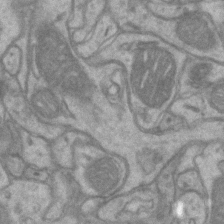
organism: Mouse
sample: CA1 Hippocampus